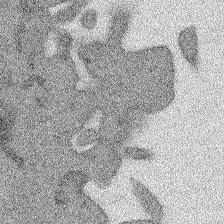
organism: Human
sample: HeLa cells